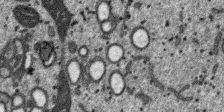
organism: Human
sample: Lung epithelial cells infected with SARS-CoV-2